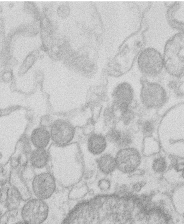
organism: Human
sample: Macrophage cells